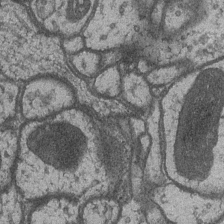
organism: Drosophila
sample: Optic medulla